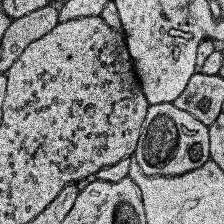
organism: Human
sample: Temporal Lobe